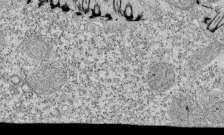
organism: Tetrahymena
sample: Cilia in tetrahymena